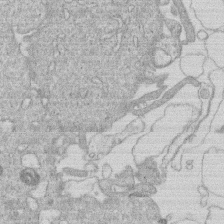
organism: Human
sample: Macrophage cells